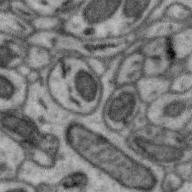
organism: Zebra finch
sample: Brain